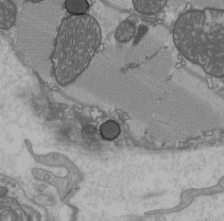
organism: C57BL Mouse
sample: Heart